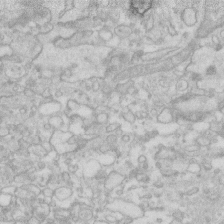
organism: Human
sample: Fibroblast cells